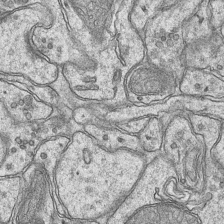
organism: Mouse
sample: CA1 Hippocampus